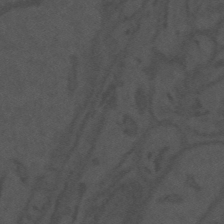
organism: Mouse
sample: Suprachiasmatic nucleus